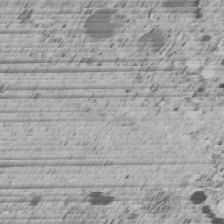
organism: C. elegans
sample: C. elegans embryo early stage